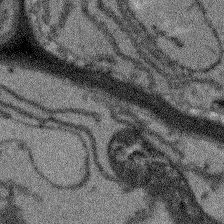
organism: Arabidopsis thaliana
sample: Root tip